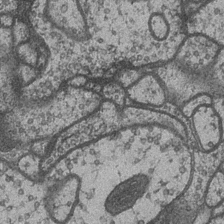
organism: Drosophila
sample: Optic medulla